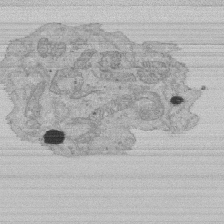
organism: Human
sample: Activated Jurkat CD4+ T cells